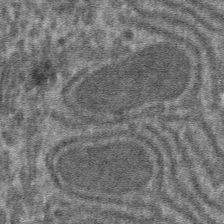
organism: Mouse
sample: Mouse hepatocytes